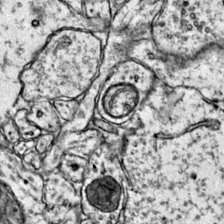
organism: Mouse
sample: Primary visual cortex